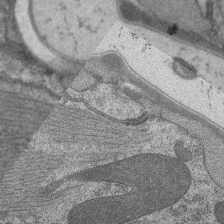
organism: C. elegans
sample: Pharynx